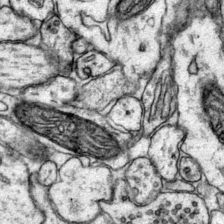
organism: Mouse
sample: Primary visual cortex